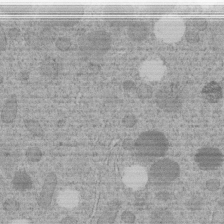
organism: C. elegans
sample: C. elegans embryo early stage